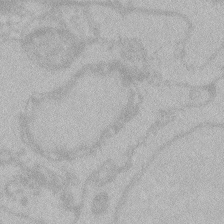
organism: Zebrafish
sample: Macrophage infected with Toxoplasma gondii